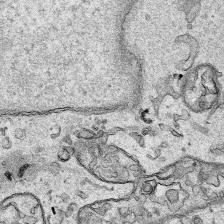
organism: Human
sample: Mitochondria in HCT116 cells